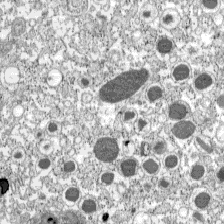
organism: C57BL Mouse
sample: Pancreatic islet